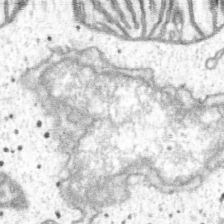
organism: Human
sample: HeLa cells